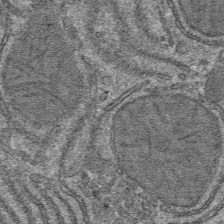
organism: Mouse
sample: Mouse hepatocytes